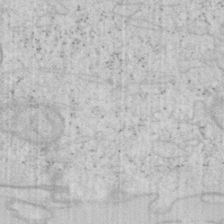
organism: Human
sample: HeLa cells